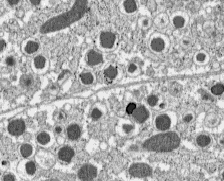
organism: C57BL Mouse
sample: Pancreatic islet